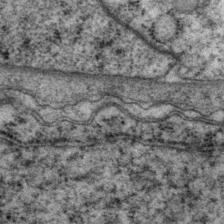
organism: P. pacificus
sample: Pharynx